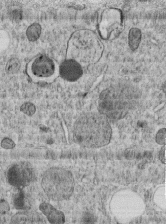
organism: C. elegans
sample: C. elegans embryo early stage